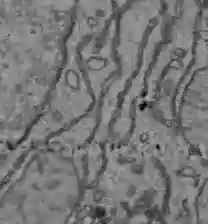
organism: C57BL Mouse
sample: Liver